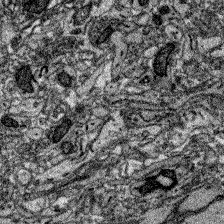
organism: Zebrafish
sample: Larval olfactory bulb